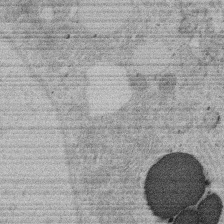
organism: Rat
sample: Salivary granule